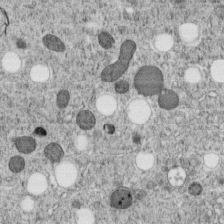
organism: C. elegans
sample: C. elegans embryo early stage